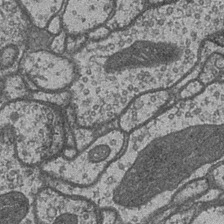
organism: Drosophila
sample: Optic medulla